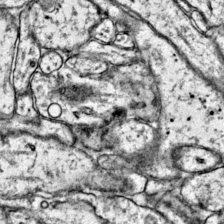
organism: Mouse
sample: Primary visual cortex